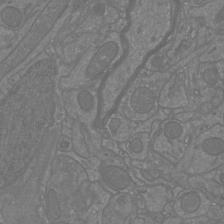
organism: Mouse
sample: Cortical neurons